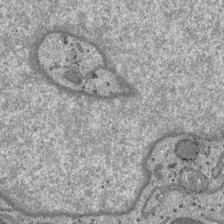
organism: Human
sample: Lung epithelial cells infected with SARS-CoV-2